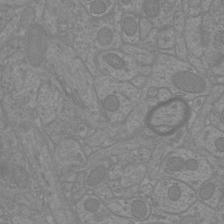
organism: Mouse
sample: Cortical neurons